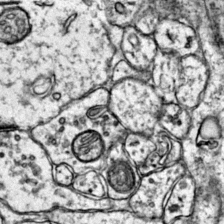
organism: Mouse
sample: Primary visual cortex